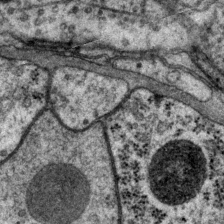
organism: P. pacificus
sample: Pharynx